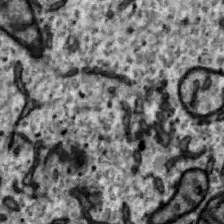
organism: Human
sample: HeLa cells